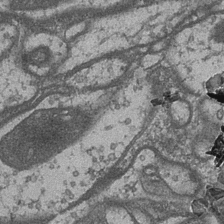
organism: Drosophila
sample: Optic medulla